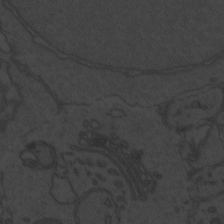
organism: Zebrafish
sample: Macrophage infected with Toxoplasma gondii